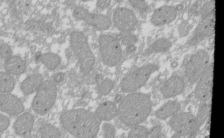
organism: Xenopus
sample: Cilia; centrioles in frog embryo cells